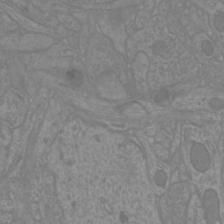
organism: Mouse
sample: Cortical neurons